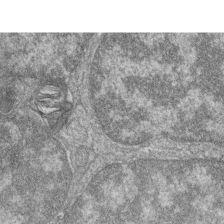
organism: Zebrafish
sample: Cilia; retinal pigment epithelium